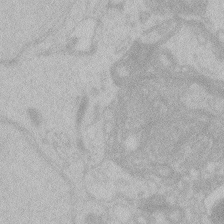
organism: Zebrafish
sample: Macrophage infected with Toxoplasma gondii